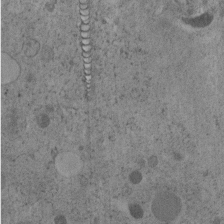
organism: C. elegans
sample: C. elegans embryo early stage